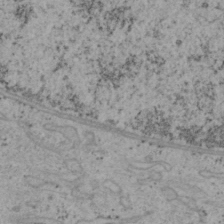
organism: Human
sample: HeLa cells